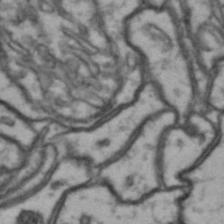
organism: Drosophila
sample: Brain